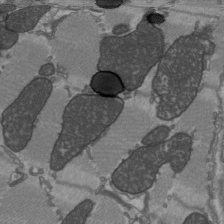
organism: C57BL Mouse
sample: Heart